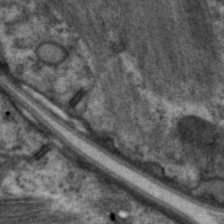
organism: C. elegans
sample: Pharynx